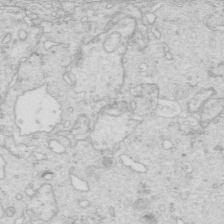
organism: Mouse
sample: Multiciliated cells